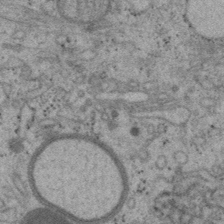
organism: Human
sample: HeLa cells